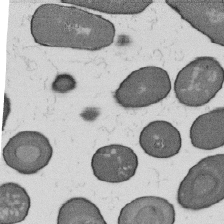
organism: B. subtilis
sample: Bacterial spore